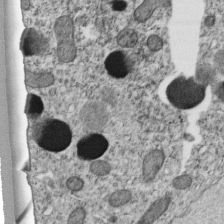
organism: C. elegans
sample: C. elegans embryo early stage